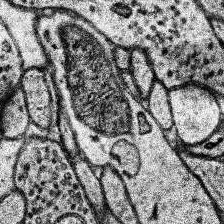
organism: Human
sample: Temporal Lobe